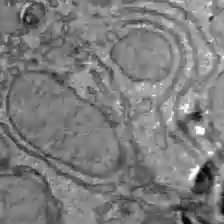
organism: C57BL Mouse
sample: Liver